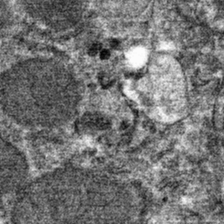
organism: Mouse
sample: Mouse hepatocytes